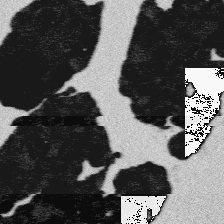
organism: Platynereis dumerilii